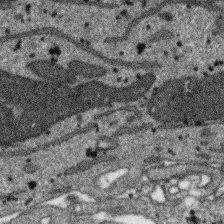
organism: Human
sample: Lung epithelial cells infected with SARS-CoV-2